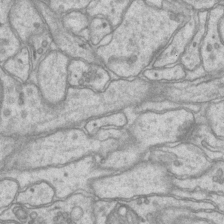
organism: Mouse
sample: CA1 Hippocampus